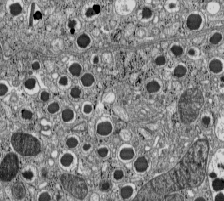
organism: C57BL Mouse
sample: Pancreatic islet